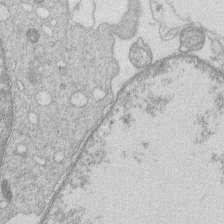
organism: Human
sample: Macrophage cells